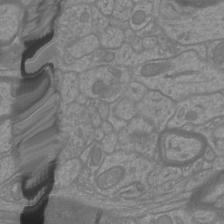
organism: Mouse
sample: Cortical neurons